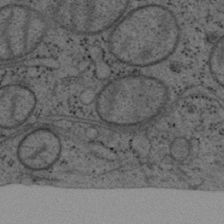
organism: Human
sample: HeLa cells